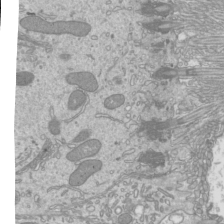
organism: Mouse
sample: Cilia; mouse epididymis